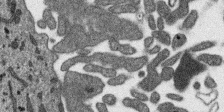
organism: Human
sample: Lung epithelial cells infected with SARS-CoV-2